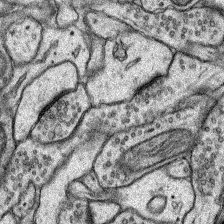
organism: Rat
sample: Hippocampus